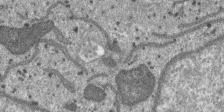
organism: Human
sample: Lung epithelial cells infected with SARS-CoV-2